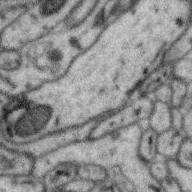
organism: Zebra finch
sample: Brain